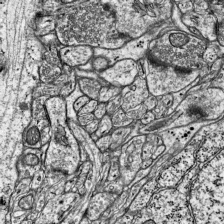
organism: Mouse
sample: Visual Cortex